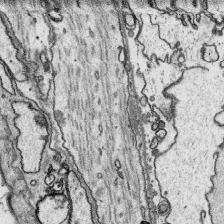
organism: Platynereis dumerilii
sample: Parapodia